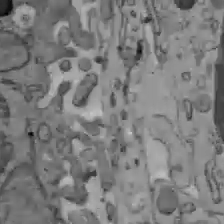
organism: C57BL Mouse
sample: Liver